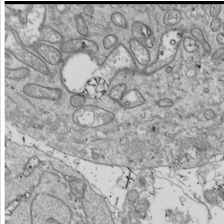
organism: Drosophila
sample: Cell division; meiosis; drosophila spermatocytes